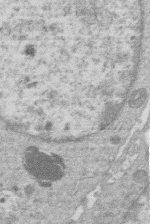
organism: Human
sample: Macrophage cells